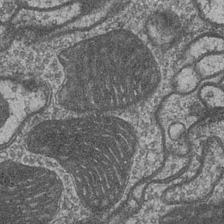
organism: Drosophila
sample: Optic medulla